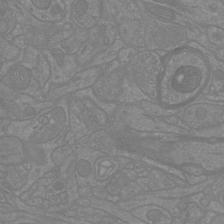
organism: Mouse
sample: Cortical neurons